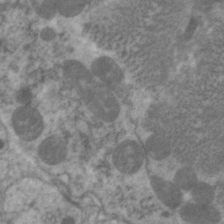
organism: C. elegans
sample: Pharynx